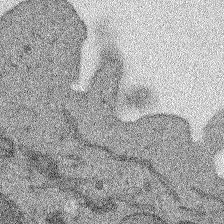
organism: Human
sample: HeLa cells